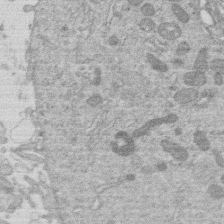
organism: Human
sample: Macrophage cells